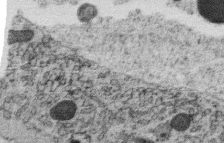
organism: C. elegans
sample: C. elegans oocyte; sperm cells